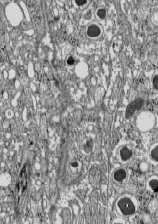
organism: C57BL Mouse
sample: Pancreatic islet